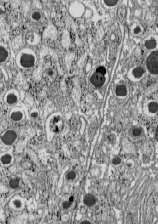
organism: C57BL Mouse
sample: Pancreatic islet